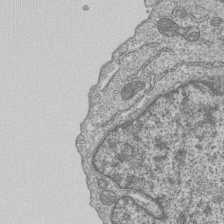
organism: Human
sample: MDA-MB-231 cells